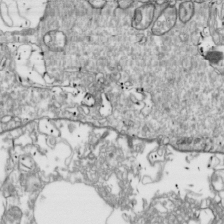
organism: Drosophila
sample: Cell division; meiosis; drosophila spermatocytes